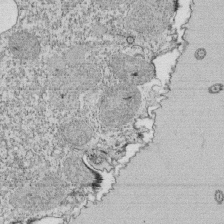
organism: Tetrahymena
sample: Cilia in tetrahymena